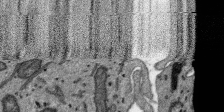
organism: Human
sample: Lung epithelial cells, uninfected (mock) control